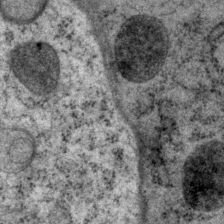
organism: P. pacificus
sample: Pharynx